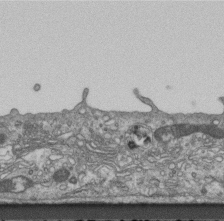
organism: Mouse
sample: Centriole in ependymal cells